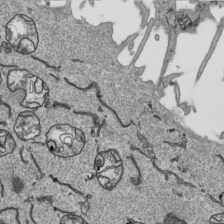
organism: Human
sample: Mitochondria in HCT116 cells